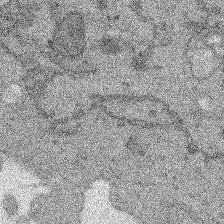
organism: Human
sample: HeLa cells